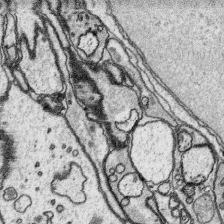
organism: Platynereis dumerilii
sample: Parapodia